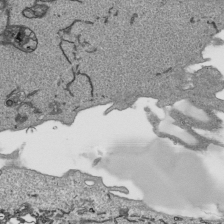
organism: Human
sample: Mitochondria in HCT116 cells